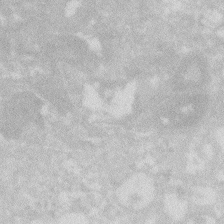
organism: Zebrafish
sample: Macrophage